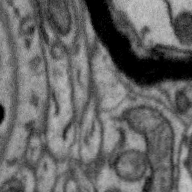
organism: Zebra finch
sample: Brain